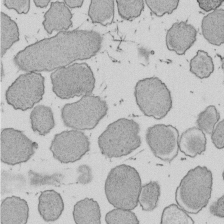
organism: E. coli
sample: Bacterial nucleoid